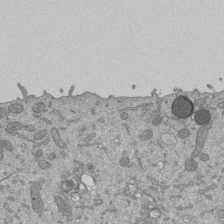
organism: Mouse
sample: ED-1 cell nuclei; centrioles